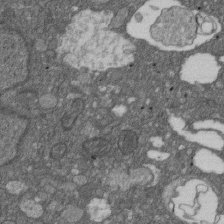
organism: Drosophila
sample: Nephrocyte